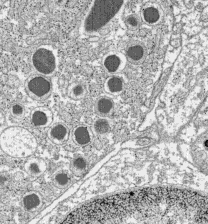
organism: C57BL Mouse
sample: Pancreatic islet